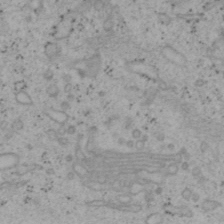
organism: Human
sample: HeLa cells